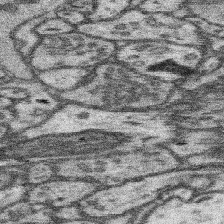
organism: Mouse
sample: Somatosensory cortex neuropil